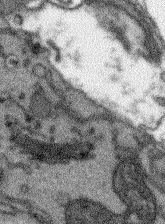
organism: Arabidopsis thaliana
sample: Root tip